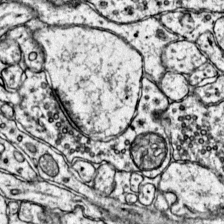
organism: Mouse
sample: Primary visual cortex